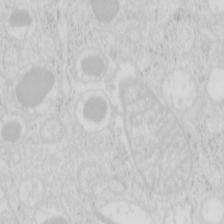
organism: Mouse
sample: Pancreas